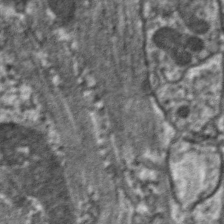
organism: C. elegans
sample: Pharynx